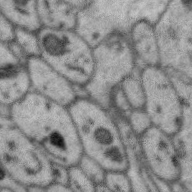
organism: Zebra finch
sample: Brain